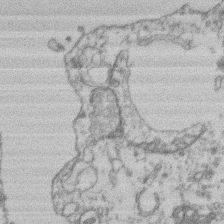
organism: Mouse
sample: T cell stromal cell synapse